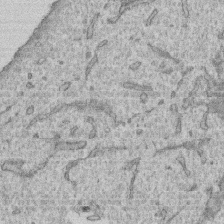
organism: Human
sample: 1205lu cells